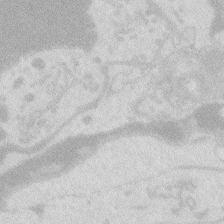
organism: Zebrafish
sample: Macrophage